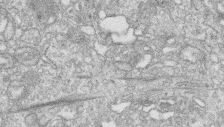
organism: Human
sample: HeLa cell HIV synapse